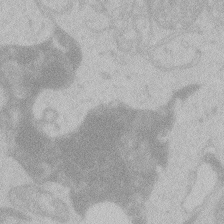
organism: Zebrafish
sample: Macrophage infected with Toxoplasma gondii